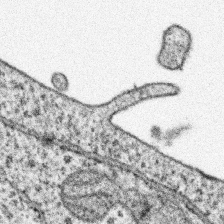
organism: Human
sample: HeLa cells